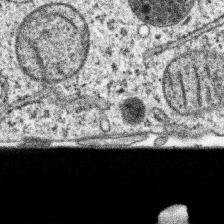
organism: Human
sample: HeLa cells